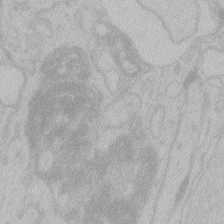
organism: Zebrafish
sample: Macrophage infected with Toxoplasma gondii